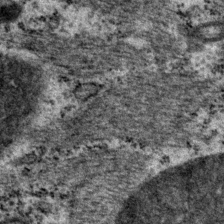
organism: P. pacificus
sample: Pharynx